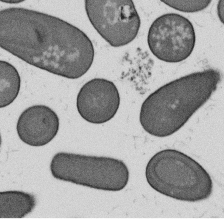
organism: B. subtilis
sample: Bacterial spore